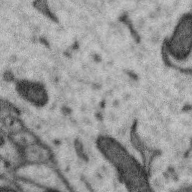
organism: Zebra finch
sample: Brain